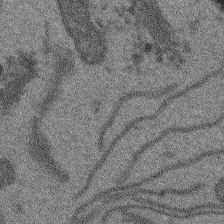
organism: Arabidopsis thaliana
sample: Root tip